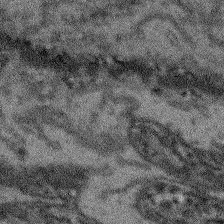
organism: Arabidopsis thaliana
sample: Root tip